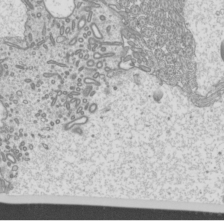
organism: Mouse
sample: Cilia; mouse epididymis